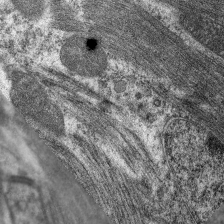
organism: C. elegans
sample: Pharynx